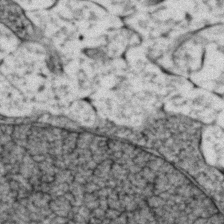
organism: Zebrafish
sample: Zebrafish embryo